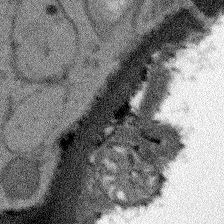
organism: Arabidopsis thaliana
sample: Root tip